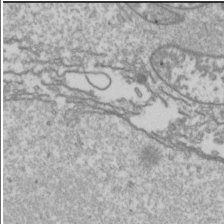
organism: Drosophila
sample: Cell division; meiosis; drosophila spermatocytes